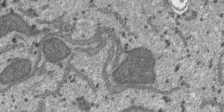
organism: Human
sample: Lung epithelial cells infected with SARS-CoV-2